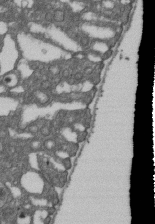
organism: Drosophila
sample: Nephrocyte